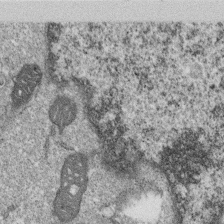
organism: African green monkey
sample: Vero E6 cells infected with SARS-CoV-2